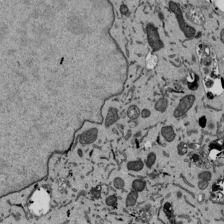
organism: Mouse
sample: ED-1 cell nuclei; centrioles